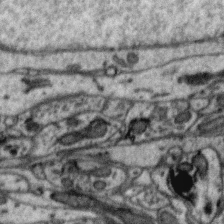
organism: Zebra finch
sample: Brain